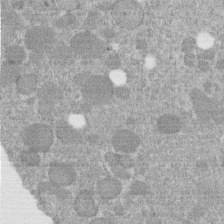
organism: C. elegans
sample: C. elegans embryo early stage